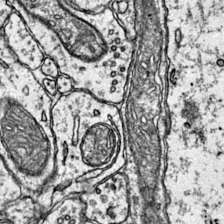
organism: Mouse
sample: Primary visual cortex